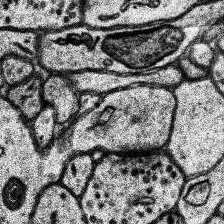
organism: Human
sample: Temporal Lobe